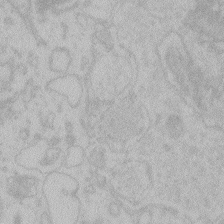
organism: Zebrafish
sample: Macrophage infected with Toxoplasma gondii